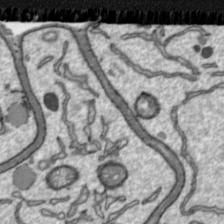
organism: Toxoplasma gondii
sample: Parasites in a vacuole inside a host cell